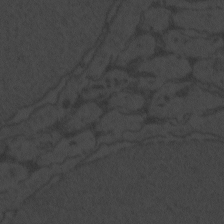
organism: Zebrafish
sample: Macrophage infected with Toxoplasma gondii